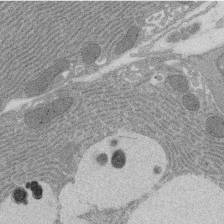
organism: Rat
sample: Salivary granule